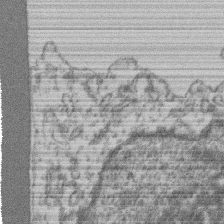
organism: Mouse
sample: T cell stromal cell synapse